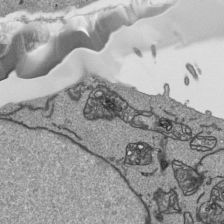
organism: Human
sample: Mitochondria in HCT116 cells